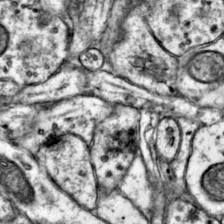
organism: Mouse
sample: Primary visual cortex